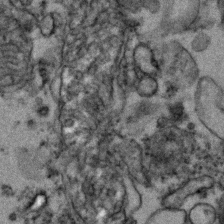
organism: Zebrafish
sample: Zebrafish embryo